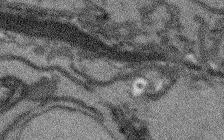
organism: Arabidopsis thaliana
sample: Root tip